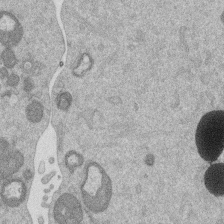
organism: Mouse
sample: Dividing mouse embryo 1 cell stage